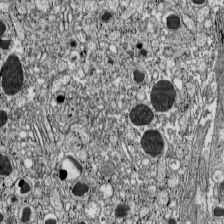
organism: C57BL Mouse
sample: Pancreatic islet